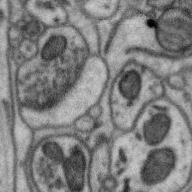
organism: Zebra finch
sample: Brain